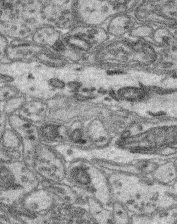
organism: Mouse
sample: Retina